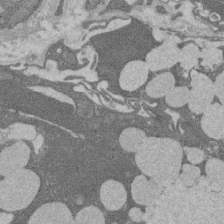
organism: Rat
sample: Salivary granule